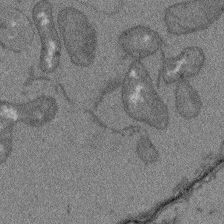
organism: Arabidopsis thaliana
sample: Root tip